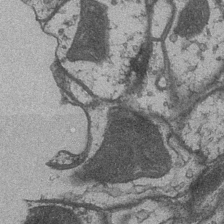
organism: Drosophila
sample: Optic medulla